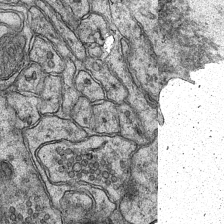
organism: Mouse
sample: CA1 Hippocampus